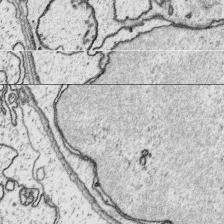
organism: Platynereis dumerilii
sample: Parapodia